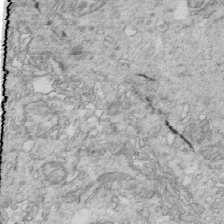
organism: Mouse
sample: Multiciliated cells